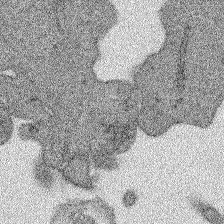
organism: Human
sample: HeLa cells